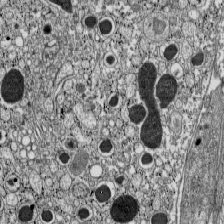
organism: C57BL Mouse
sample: Pancreatic islet